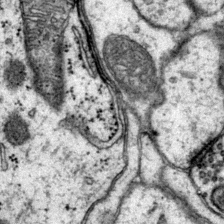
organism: Mouse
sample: Primary visual cortex